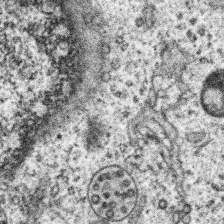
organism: Human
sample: HeLa cells